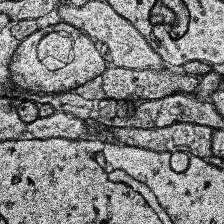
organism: Human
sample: Temporal Lobe